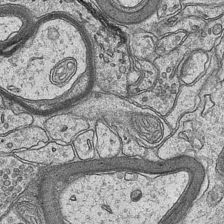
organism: Mouse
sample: CA1 Hippocampus